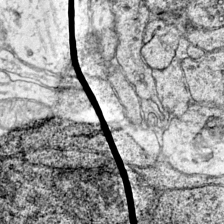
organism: Mouse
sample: Primary visual cortex